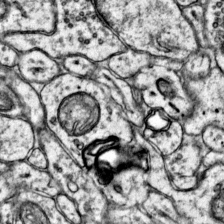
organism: Mouse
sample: Primary visual cortex